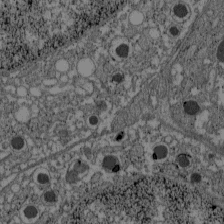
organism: C57BL Mouse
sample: Pancreatic islet